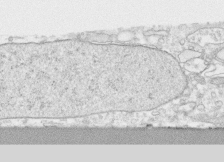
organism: Human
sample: CRL-1474